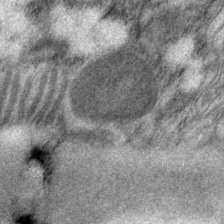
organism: P. pacificus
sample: Pharynx